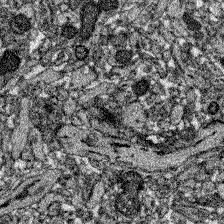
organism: Zebrafish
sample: Larval olfactory bulb